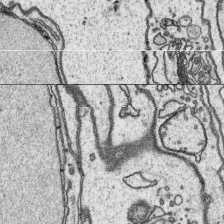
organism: Platynereis dumerilii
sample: Parapodia